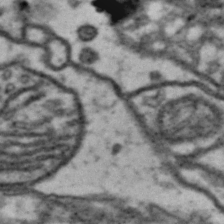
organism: Drosophila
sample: Brain